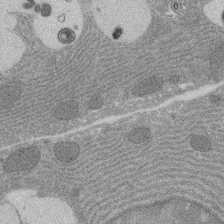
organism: Rat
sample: Salivary granule